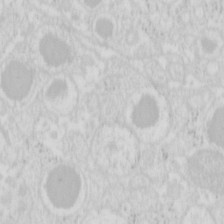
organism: Mouse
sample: Pancreas